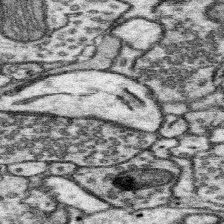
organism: Mouse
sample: Somatosensory cortex neuropil